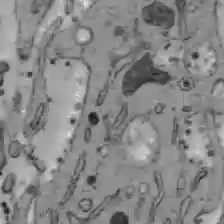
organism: C57BL Mouse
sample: Liver